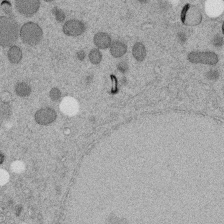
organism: C. elegans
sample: C. elegans embryo early stage